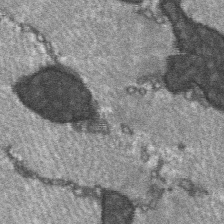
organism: C57BL Mouse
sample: Soleus